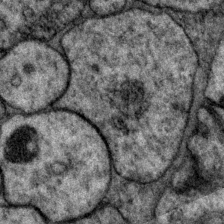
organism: P. pacificus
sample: Pharynx